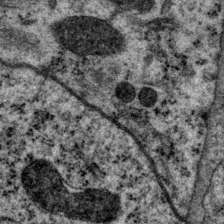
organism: P. pacificus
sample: Pharynx